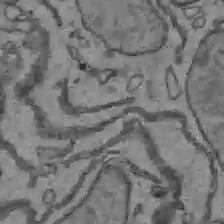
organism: C57BL Mouse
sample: Liver